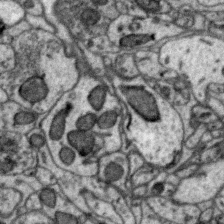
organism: Zebra finch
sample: Brain